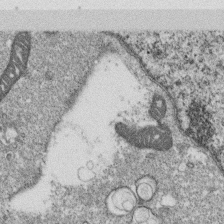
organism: African green monkey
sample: Vero E6 cells infected with SARS-CoV-2